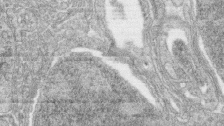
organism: Zebrafish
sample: synaptic ribbons in rod cells and cone cells